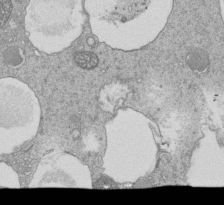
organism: Tetrahymena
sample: Cilia in tetrahymena